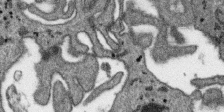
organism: Human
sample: Lung epithelial cells, uninfected (mock) control